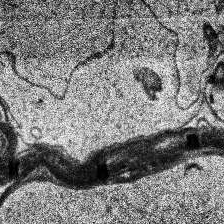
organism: Human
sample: Temporal Lobe